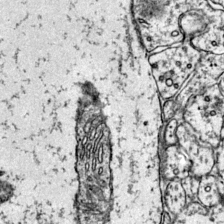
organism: Mouse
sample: Primary visual cortex